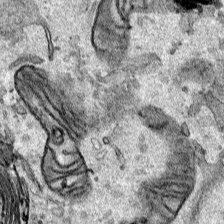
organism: Human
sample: Mitochondria in HCT116 cells